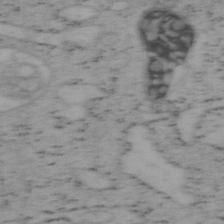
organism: Mouse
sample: OT-I killer T cells with ID8 ovarian cancer cells